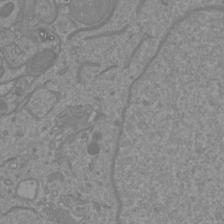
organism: Mouse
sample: Cortical neurons